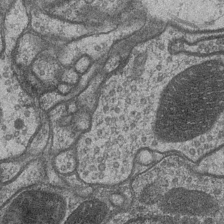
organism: Drosophila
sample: Optic medulla